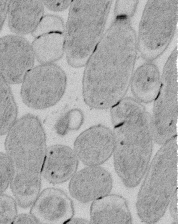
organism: E. coli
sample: Bacterial nucleoid